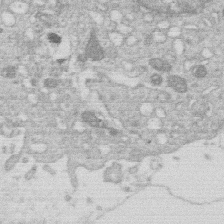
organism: Human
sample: Macrophage cells